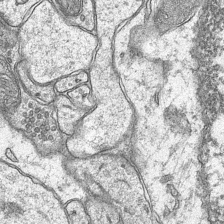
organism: Mouse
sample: CA1 Hippocampus